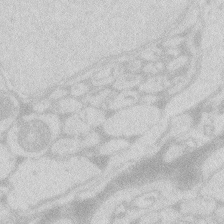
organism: Zebrafish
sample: Macrophage